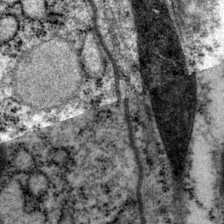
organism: P. pacificus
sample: Pharynx